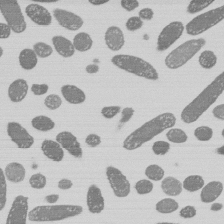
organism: E. coli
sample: Bacterial nucleoid